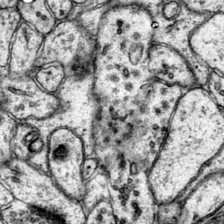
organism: Mouse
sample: Primary visual cortex